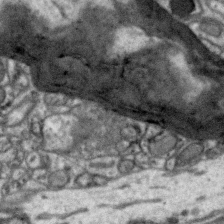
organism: Zebra finch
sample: Brain